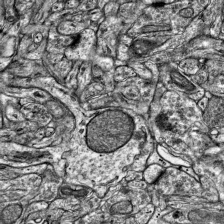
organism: Mouse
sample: Visual Cortex